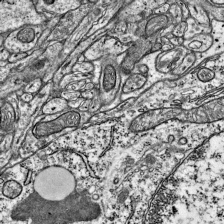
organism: Mouse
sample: Visual Cortex